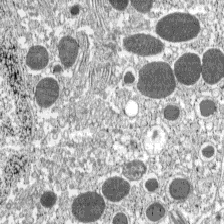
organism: C57BL Mouse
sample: Pancreatic islet